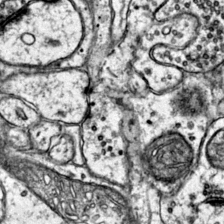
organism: Mouse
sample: Primary visual cortex